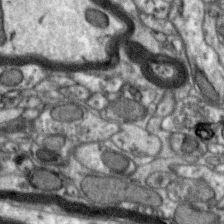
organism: Zebra finch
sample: Brain